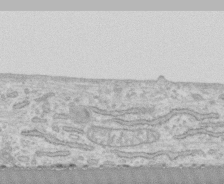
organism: Human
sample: CRL-1474